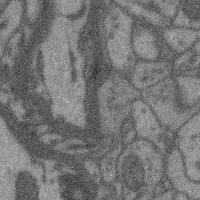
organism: Mouse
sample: Cerebral cortex